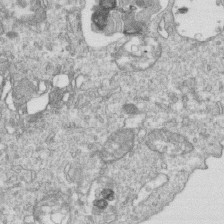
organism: Mouse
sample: Activated OT-1 CD8+ T cells